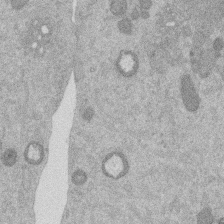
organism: Mouse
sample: Dividing mouse embryo 1 cell stage